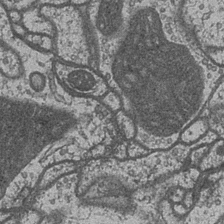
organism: Drosophila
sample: Optic medulla